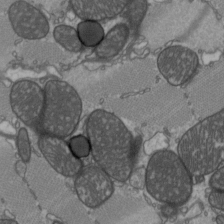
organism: C57BL Mouse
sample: Heart